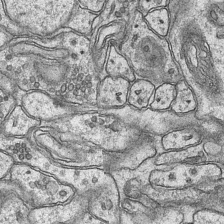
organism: Mouse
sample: CA1 Hippocampus